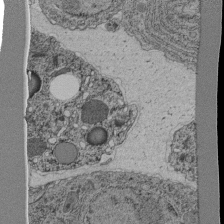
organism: C. elegans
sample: C. elegans pharynx